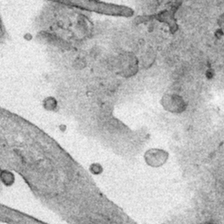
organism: Human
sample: Mitochondria in HCT116 cells